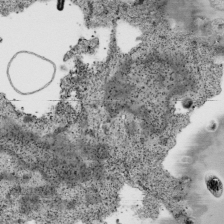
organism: Human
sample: Mitochondria in HCT116 cells